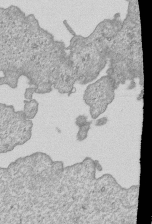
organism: Human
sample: MDA-MB-231 cells